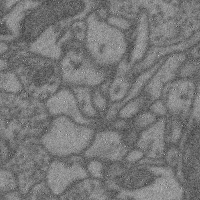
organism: Mouse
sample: Cerebral cortex